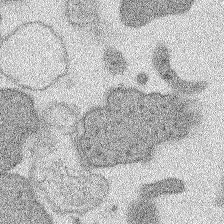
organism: Human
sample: HeLa cells